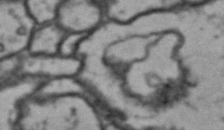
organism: Drosophila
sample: Brain